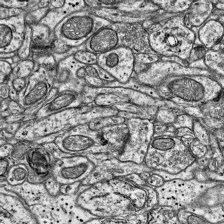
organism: Mouse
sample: Visual Cortex